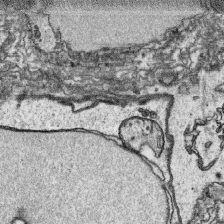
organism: Platynereis dumerilii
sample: Parapodia